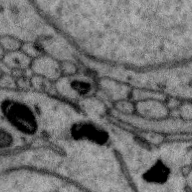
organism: Zebra finch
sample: Brain